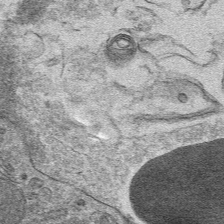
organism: Mouse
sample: Mouse hepatocytes